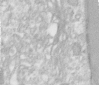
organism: Human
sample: Centriole in RPE cells